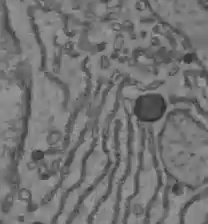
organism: C57BL Mouse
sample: Liver